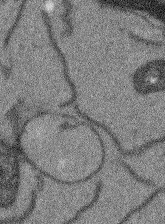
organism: Arabidopsis thaliana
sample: Root tip